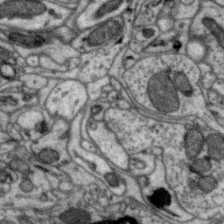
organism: Zebra finch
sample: Brain